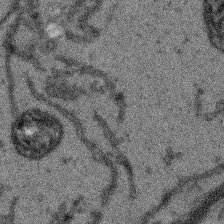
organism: Arabidopsis thaliana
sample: Root tip